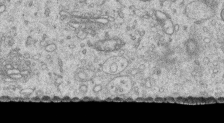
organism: Human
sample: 1205lu cells